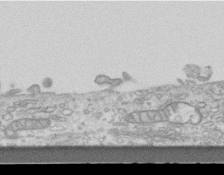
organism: Mouse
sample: Centriole in ependymal cells